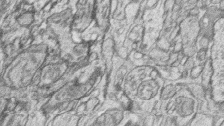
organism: Zebrafish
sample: synaptic ribbons in rod cells and cone cells